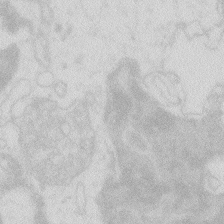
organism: Zebrafish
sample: Macrophage